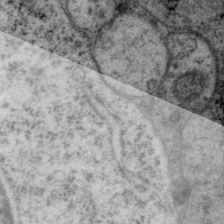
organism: P. pacificus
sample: Pharynx